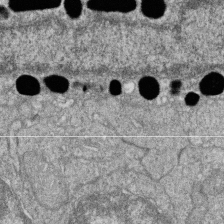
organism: Zebrafish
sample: Cilia; retinal pigment epithelium